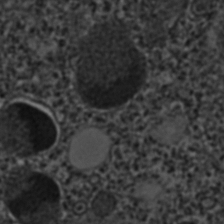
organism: C. elegans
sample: C. elegans embryo